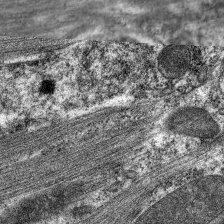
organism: C. elegans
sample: Pharynx